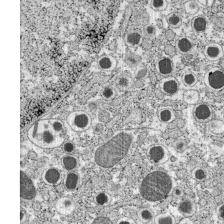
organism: C57BL Mouse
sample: Pancreatic islet